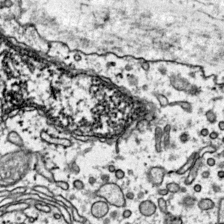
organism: Mouse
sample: Primary visual cortex